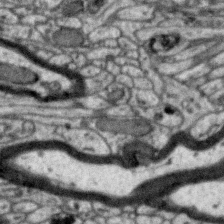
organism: Zebra finch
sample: Brain